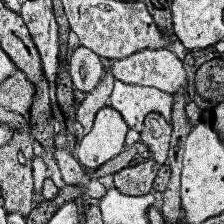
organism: Human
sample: Temporal Lobe